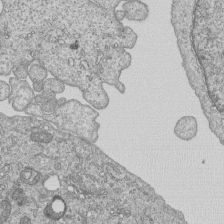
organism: Human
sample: MDA-MB-231 cells